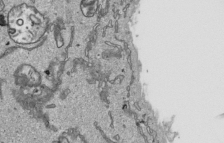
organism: Human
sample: Mitochondria in HCT116 cells